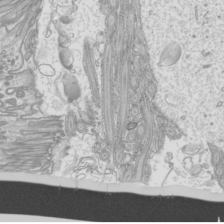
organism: Mouse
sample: Cilia; mouse epididymis